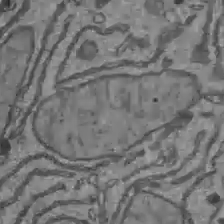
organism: C57BL Mouse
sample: Liver